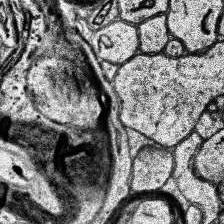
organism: Human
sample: Temporal Lobe